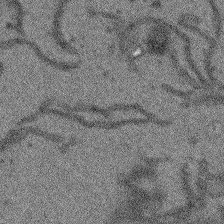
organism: Arabidopsis thaliana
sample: Root tip